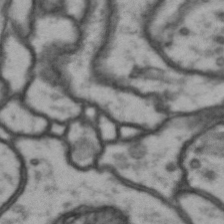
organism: Drosophila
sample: Brain